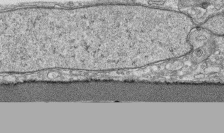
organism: Human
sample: CRL-1474